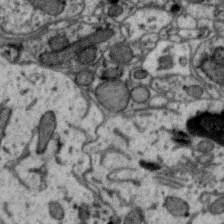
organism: Zebra finch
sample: Brain